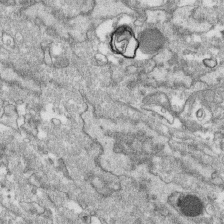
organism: Human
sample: CRL-1474